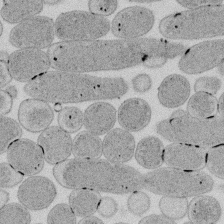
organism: E. coli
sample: Bacterial nucleoid